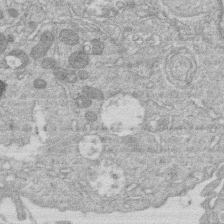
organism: Human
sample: Macrophage cells